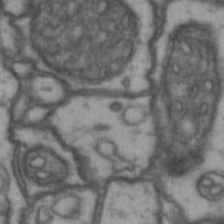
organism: Drosophila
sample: Brain